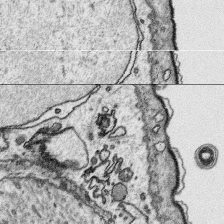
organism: Platynereis dumerilii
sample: Parapodia